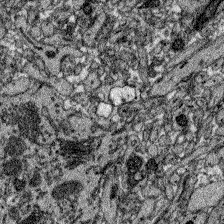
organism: Zebrafish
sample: Larval olfactory bulb